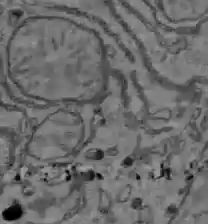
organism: C57BL Mouse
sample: Liver